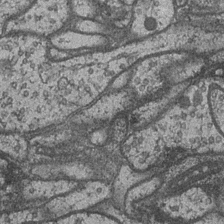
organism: Drosophila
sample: Optic medulla